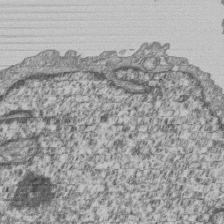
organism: Human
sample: MDA-MB-231 cells